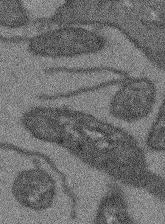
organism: Arabidopsis thaliana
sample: Root tip